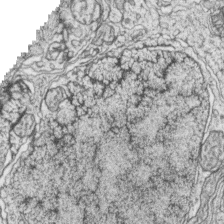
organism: Zebrafish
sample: synaptic ribbons in rod cells and cone cells